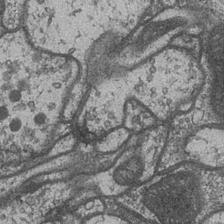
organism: Drosophila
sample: Optic medulla